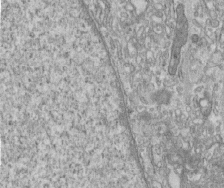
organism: Human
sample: Centriole in fibroblast cells